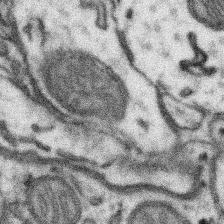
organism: Mouse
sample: Somatosensory cortex neuropil